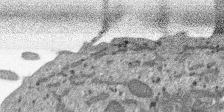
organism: Human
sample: Lung epithelial cells infected with SARS-CoV-2